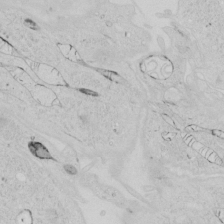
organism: Human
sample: Mitochondria in HCT116 cells